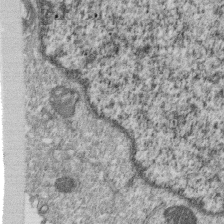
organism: African green monkey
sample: Vero E6 cells infected with SARS-CoV-2